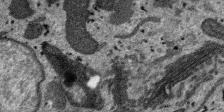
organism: Human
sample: Lung epithelial cells, uninfected (mock) control